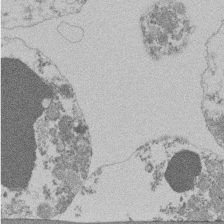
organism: Mouse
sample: Activated Pmel transgenic CD8+ T Cells